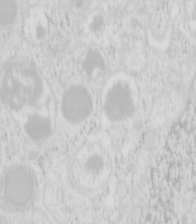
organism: Mouse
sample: Pancreas